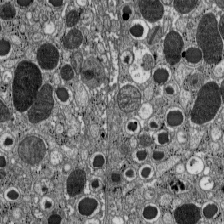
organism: C57BL Mouse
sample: Pancreatic islet